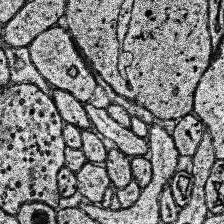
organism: Human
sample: Temporal Lobe